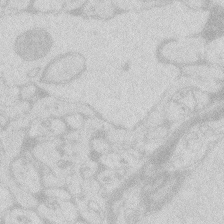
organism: Zebrafish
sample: Macrophage